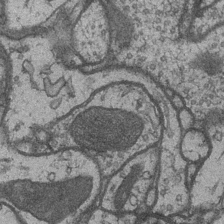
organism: Drosophila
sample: Optic medulla